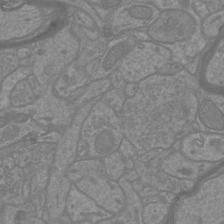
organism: Mouse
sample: Cortical neurons